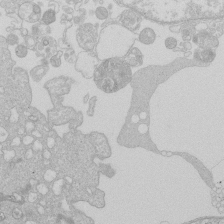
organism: Human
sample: Macrophage cells